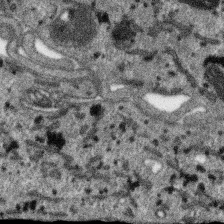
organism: Human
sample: Lung epithelial cells infected with SARS-CoV-2